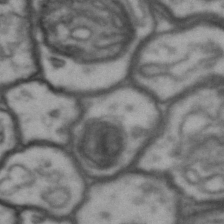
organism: Drosophila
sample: Brain